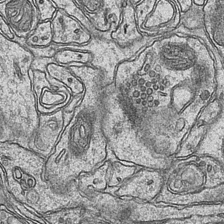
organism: Mouse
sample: CA1 Hippocampus